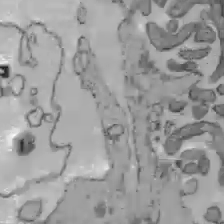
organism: C57BL Mouse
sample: Liver